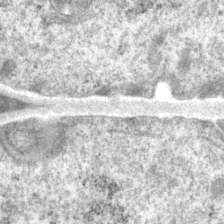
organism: P. pacificus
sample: Pharynx